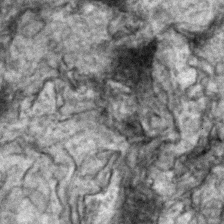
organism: Zebrafish